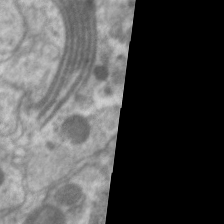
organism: C. elegans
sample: Pharynx